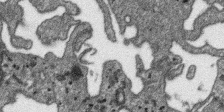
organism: Human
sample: Lung epithelial cells infected with SARS-CoV-2